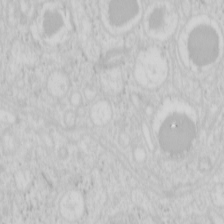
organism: Mouse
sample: Pancreas